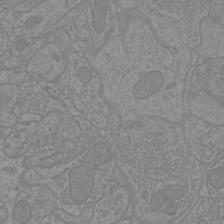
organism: Mouse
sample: Cortical neurons